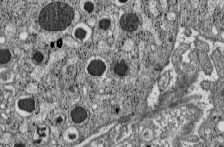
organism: C57BL Mouse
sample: Pancreatic islet